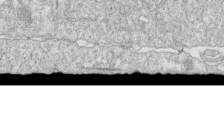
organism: Human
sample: HeLa cell HIV synapse